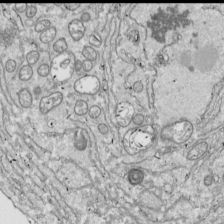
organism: Drosophila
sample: Cell division; meiosis; drosophila spermatocytes